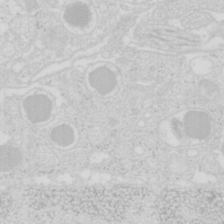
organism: Mouse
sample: Pancreas